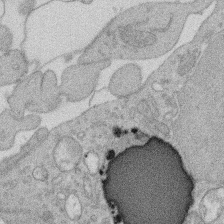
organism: Rat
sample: Salivary granule